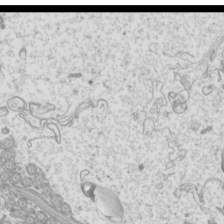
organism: Mouse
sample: Cilia; mouse epididymis